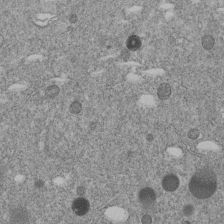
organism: C. elegans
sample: C. elegans embryo early stage